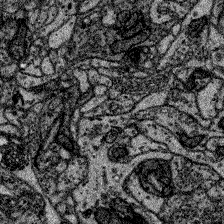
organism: Zebrafish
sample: Larval olfactory bulb